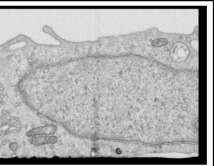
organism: Human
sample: Centriole in RPE cells